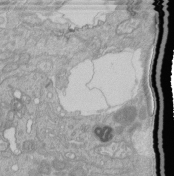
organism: Human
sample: Retinal organoid Rod and Cone cells